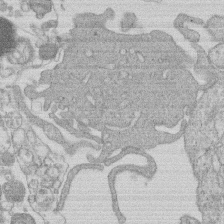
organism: Human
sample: Macrophage cells